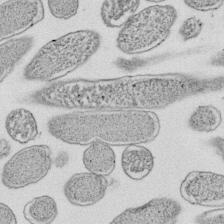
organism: E. coli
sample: Bacterial nucleoid